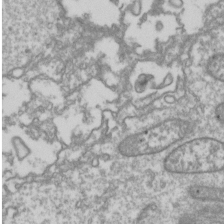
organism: Drosophila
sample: Cell division; meiosis; drosophila spermatocytes